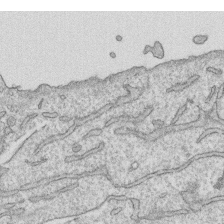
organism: Human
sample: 1205lu cells